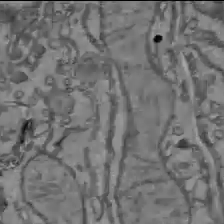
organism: C57BL Mouse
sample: Liver